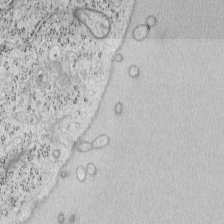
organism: Mouse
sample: OT-I killer T cells with ID8 ovarian cancer cells